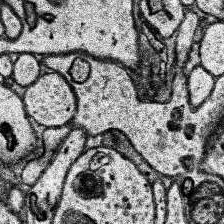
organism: Human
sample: Temporal Lobe